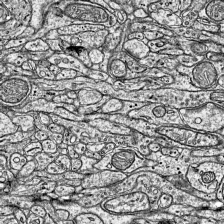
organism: Mouse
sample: Visual Cortex